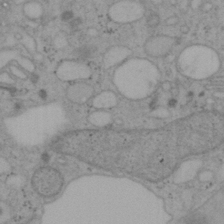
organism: Mouse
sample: OT-I killer T cells with ID8 ovarian cancer cells